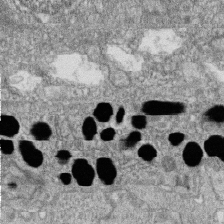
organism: Zebrafish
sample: Cilia; retinal pigment epithelium